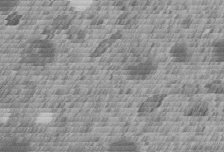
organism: C. elegans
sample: C. elegans embryo early stage